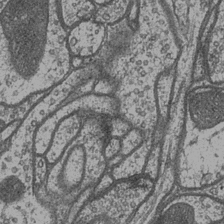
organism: Drosophila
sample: Optic medulla